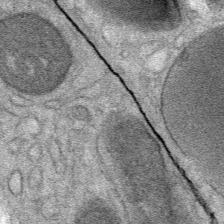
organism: Mouse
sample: Mouse Salivary gland